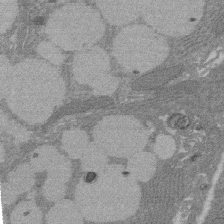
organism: Rat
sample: Salivary granule